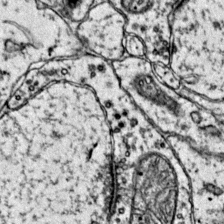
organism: Mouse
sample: Primary visual cortex